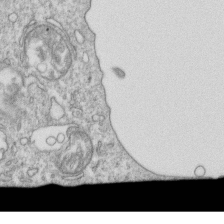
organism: Mouse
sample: Activated OT-1 CD8+ T cells